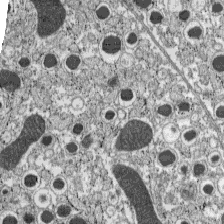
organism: C57BL Mouse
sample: Pancreatic islet